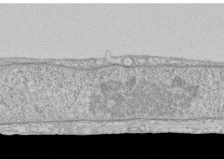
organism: Human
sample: CRL-1474